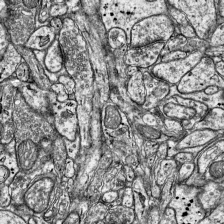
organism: Mouse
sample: Visual Cortex